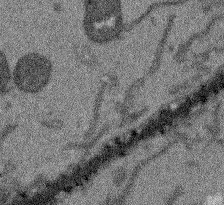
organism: Arabidopsis thaliana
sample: Root tip